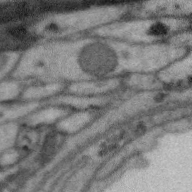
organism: Zebra finch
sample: Brain